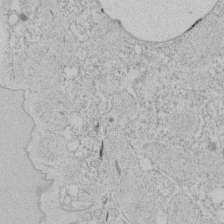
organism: Tetrahymena